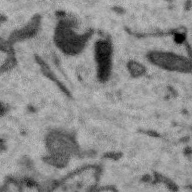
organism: Zebra finch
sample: Brain